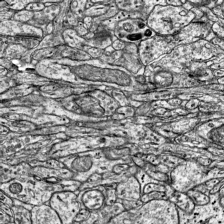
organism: Mouse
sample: Visual Cortex